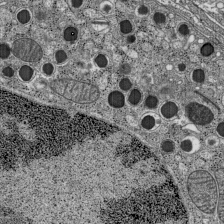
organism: C57BL Mouse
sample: Pancreatic islet